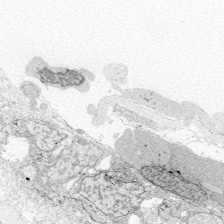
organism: Zebrafish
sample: Whole-Brain